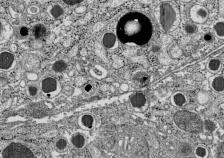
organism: C57BL Mouse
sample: Pancreatic islet